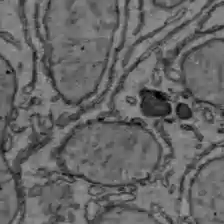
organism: C57BL Mouse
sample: Liver